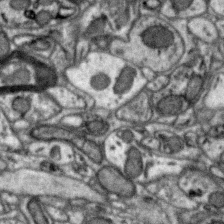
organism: Zebra finch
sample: Brain